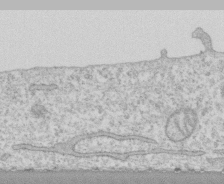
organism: Human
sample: CRL-1474